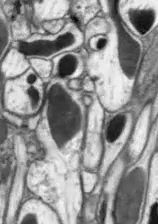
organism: Drosophila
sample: Optic lobe